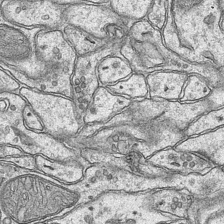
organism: Mouse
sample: CA1 Hippocampus